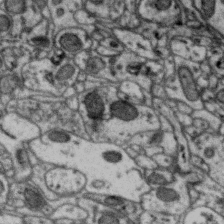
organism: Zebra finch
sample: Brain